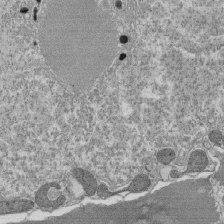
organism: Tetrahymena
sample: Cilia in tetrahymena